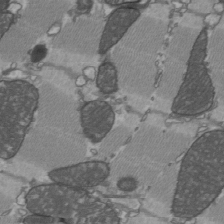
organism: C57BL Mouse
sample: Heart